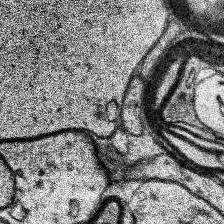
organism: Human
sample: Temporal Lobe